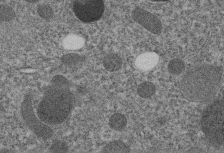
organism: C. elegans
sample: C. elegans embryo early stage